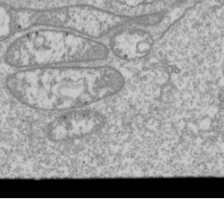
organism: Drosophila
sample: Cell division; meiosis; drosophila spermatocytes